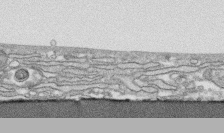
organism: Human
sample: CRL-1474